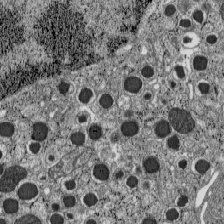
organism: C57BL Mouse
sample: Pancreatic islet